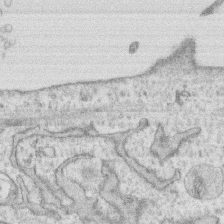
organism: Human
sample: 1205lu cells